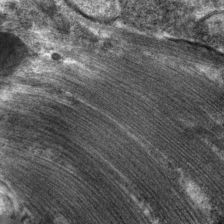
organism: C. elegans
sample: Pharynx